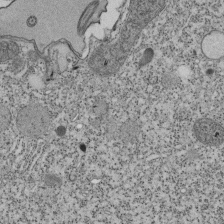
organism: Tetrahymena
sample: Cilia in tetrahymena